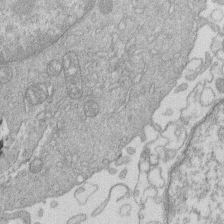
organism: Human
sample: Macrophage cells